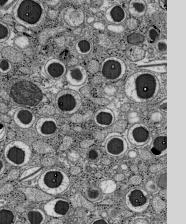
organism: C57BL Mouse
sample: Pancreatic islet